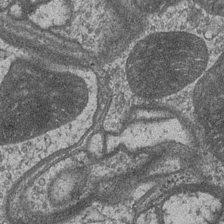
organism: Drosophila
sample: Optic medulla